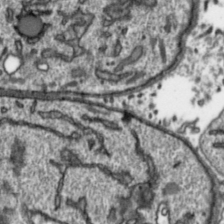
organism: Toxoplasma gondii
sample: Parasites in a vacuole inside a host cell